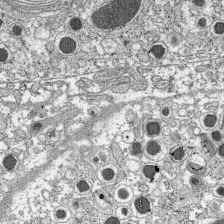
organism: C57BL Mouse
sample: Pancreatic islet